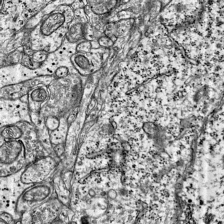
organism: Mouse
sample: Visual Cortex